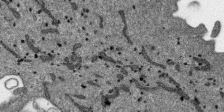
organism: Human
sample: Lung epithelial cells, uninfected (mock) control